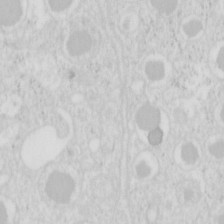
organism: Mouse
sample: Pancreas